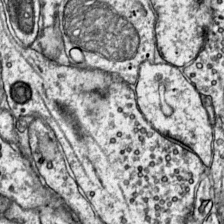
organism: Mouse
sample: Primary visual cortex